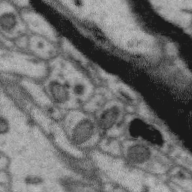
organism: Zebra finch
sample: Brain